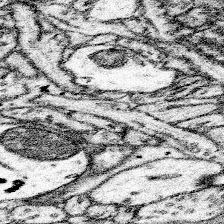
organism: Mouse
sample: Somatosensory cortex neuropil